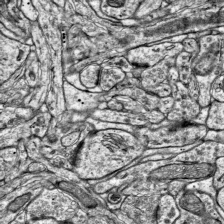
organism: Mouse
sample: Visual Cortex